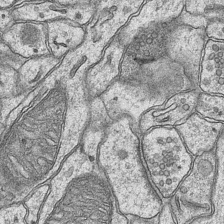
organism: Mouse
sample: CA1 Hippocampus